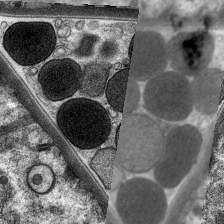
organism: C. elegans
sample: Pharynx